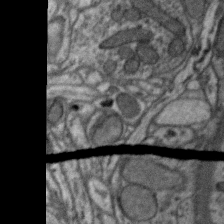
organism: Zebra finch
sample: Brain